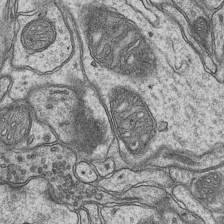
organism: Mouse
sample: CA1 Hippocampus